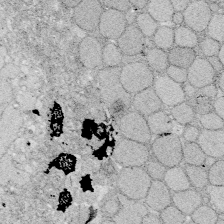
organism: Zebrafish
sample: Whole-Brain